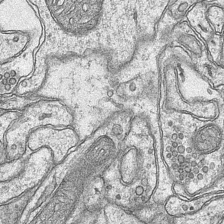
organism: Mouse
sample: CA1 Hippocampus